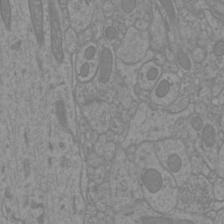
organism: Mouse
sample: Cortical neurons